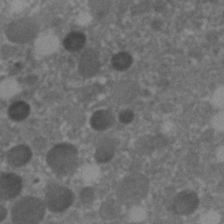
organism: C. elegans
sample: C. elegans embryo